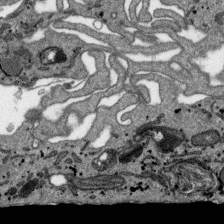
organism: Human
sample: Lung epithelial cells, uninfected (mock) control